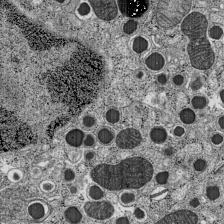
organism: C57BL Mouse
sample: Pancreatic islet